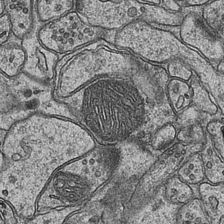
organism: Mouse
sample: CA1 Hippocampus